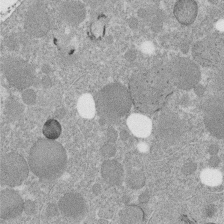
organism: C. elegans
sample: C. elegans embryo early stage